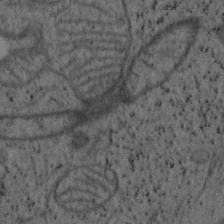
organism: Human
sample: HeLa cells